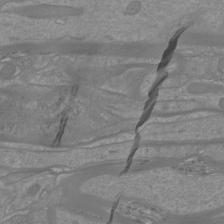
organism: Mouse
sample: Cortical neurons